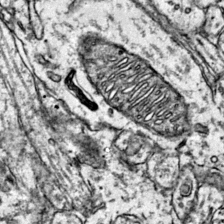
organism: Mouse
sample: Primary visual cortex